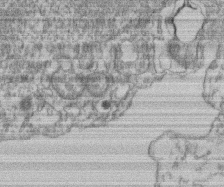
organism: Mouse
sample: T cell stromal cell synapse